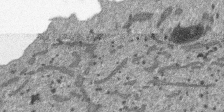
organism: Human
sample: Lung epithelial cells infected with SARS-CoV-2